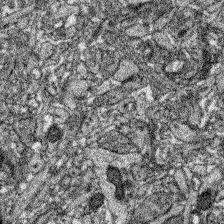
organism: Zebrafish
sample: Larval olfactory bulb